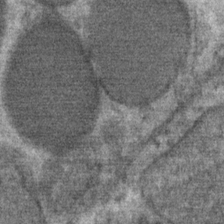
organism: Mouse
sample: Mouse Salivary gland